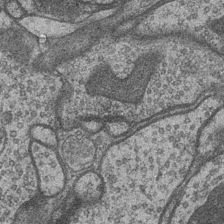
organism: Drosophila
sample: Optic medulla